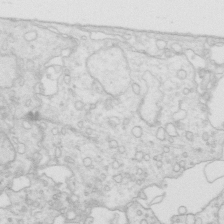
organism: Mouse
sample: Multiciliated cells